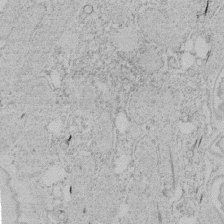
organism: Tetrahymena